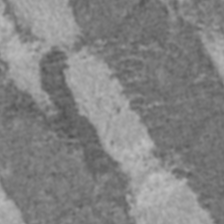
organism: C57BL Mouse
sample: Heart